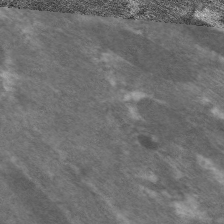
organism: C. elegans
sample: Pharynx